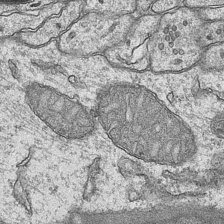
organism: Mouse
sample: CA1 Hippocampus